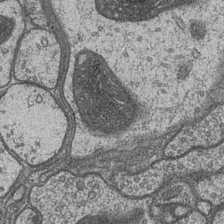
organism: Drosophila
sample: Optic medulla